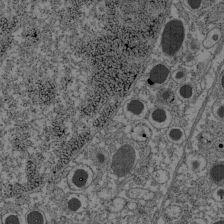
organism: C57BL Mouse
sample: Pancreatic islet